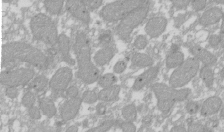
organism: Xenopus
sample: Cilia; centrioles in frog embryo cells